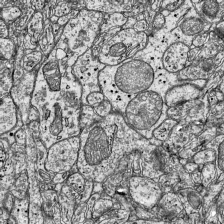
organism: Mouse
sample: Visual Cortex